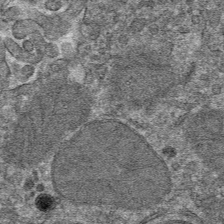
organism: Mouse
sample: Mouse hepatocytes